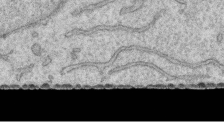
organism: Human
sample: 1205lu cells